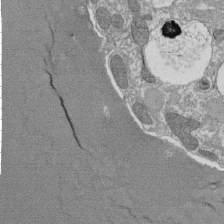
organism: Tetrahymena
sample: Cilia in tetrahymena